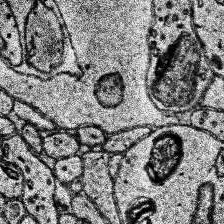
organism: Human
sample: Temporal Lobe